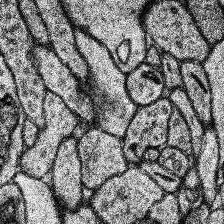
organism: Human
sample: Temporal Lobe